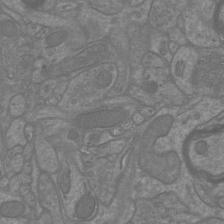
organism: Mouse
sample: Cortical neurons